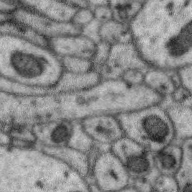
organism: Zebra finch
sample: Brain